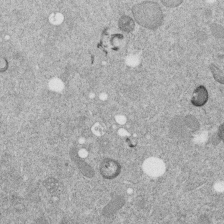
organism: C. elegans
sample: C. elegans embryo early stage